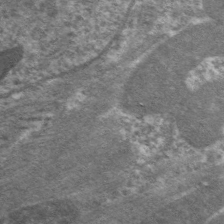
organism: C. elegans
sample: Pharynx